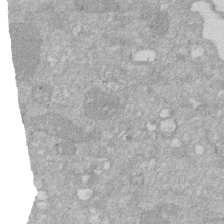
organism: Human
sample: HIV infected U937 cells